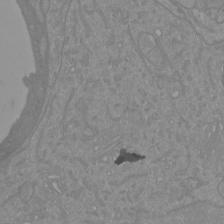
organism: Mouse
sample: Cortical neurons